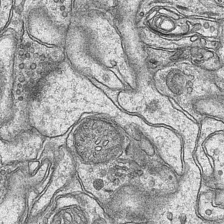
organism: Mouse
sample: CA1 Hippocampus